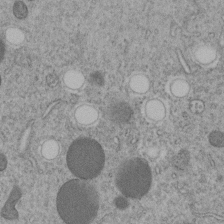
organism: C. elegans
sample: C. elegans embryo early stage